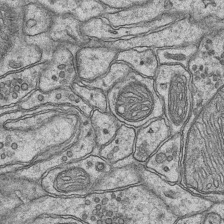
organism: Mouse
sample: CA1 Hippocampus